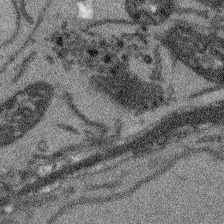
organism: Arabidopsis thaliana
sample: Root tip